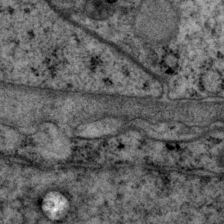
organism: P. pacificus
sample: Pharynx